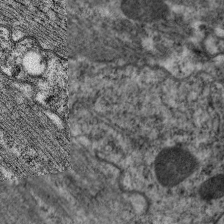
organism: C. elegans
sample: Pharynx